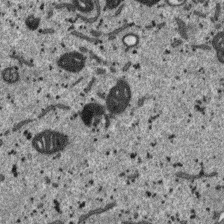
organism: Human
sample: Lung epithelial cells infected with SARS-CoV-2